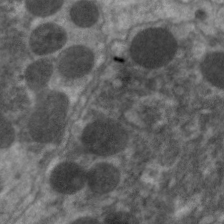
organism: C. elegans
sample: Pharynx